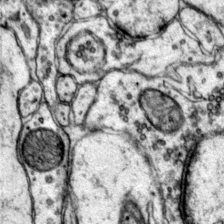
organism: Mouse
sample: Primary visual cortex